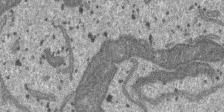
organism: Human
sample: Lung epithelial cells infected with SARS-CoV-2